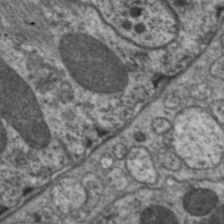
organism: C. elegans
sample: Pharynx